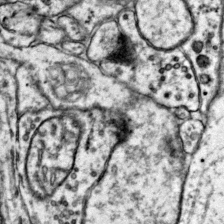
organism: Mouse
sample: Primary visual cortex